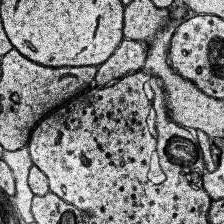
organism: Human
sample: Temporal Lobe